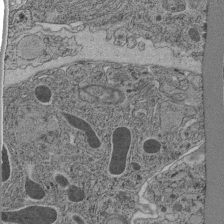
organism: C. elegans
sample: C. elegans pharynx